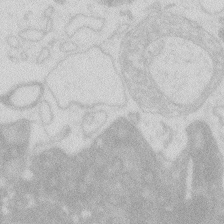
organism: Zebrafish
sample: Macrophage